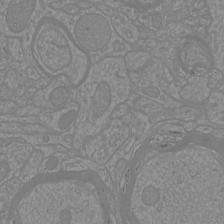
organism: Mouse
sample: Cortical neurons